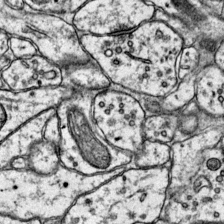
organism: Mouse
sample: Primary visual cortex